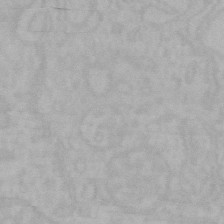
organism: Mouse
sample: Choroid plexus